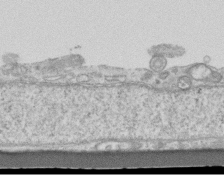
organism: Mouse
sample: Centriole in ependymal cells